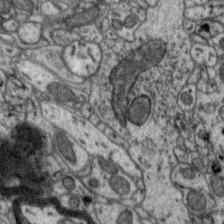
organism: Zebra finch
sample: Brain